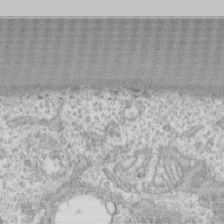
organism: Human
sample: CRL-1474